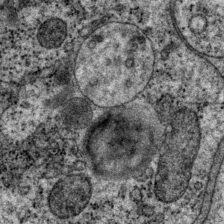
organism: P. pacificus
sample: Pharynx